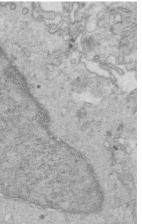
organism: Mouse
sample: Multiciliated cells